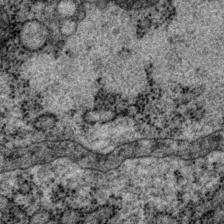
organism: P. pacificus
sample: Pharynx